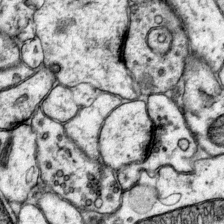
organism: Mouse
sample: Primary visual cortex